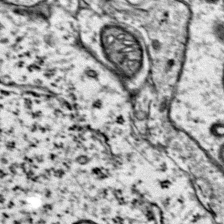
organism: Mouse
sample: Primary visual cortex